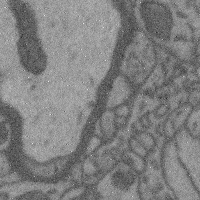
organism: Mouse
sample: Cerebral cortex